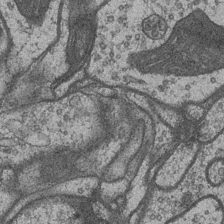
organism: Drosophila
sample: Optic medulla